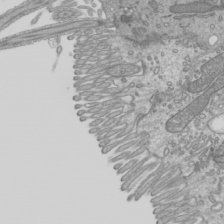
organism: Mouse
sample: Cilia; mouse epididymis